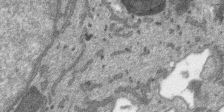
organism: Human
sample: Lung epithelial cells infected with SARS-CoV-2